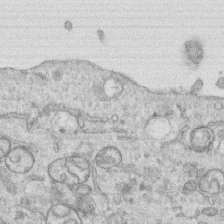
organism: Human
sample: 1205lu cells